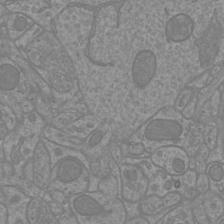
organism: Mouse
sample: Cortical neurons